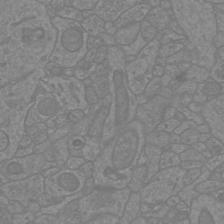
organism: Mouse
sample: Cortical neurons